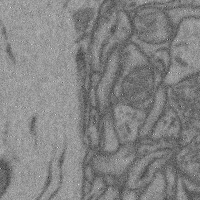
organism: Mouse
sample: Cerebral cortex